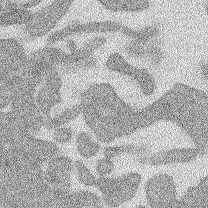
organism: Human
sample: HeLa cells